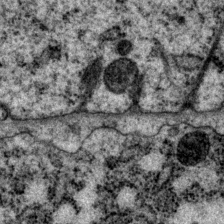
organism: P. pacificus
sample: Pharynx